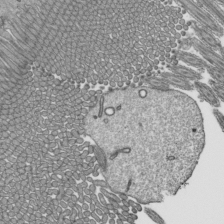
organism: Mouse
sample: Mouse epididymis efferent ductule cilia